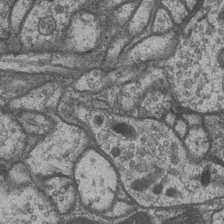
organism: Drosophila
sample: Optic medulla